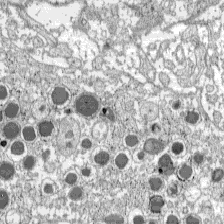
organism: C57BL Mouse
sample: Pancreatic islet